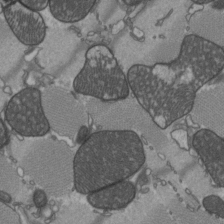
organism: C57BL Mouse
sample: Heart